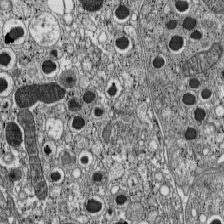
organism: C57BL Mouse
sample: Pancreatic islet